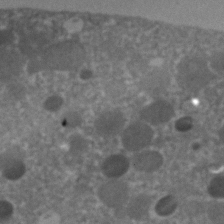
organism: C. elegans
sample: C. elegans embryo